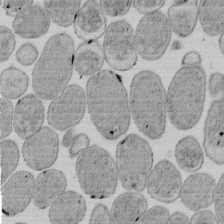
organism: E. coli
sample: Bacterial nucleoid